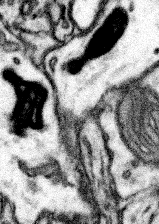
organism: Mouse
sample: Somatosensory cortex neuropil